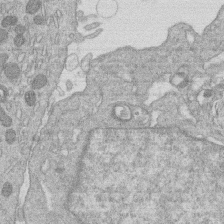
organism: Human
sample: Macrophage cells